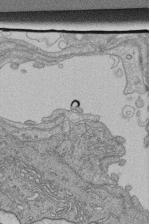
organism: Human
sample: Retinal organoid Rod and Cone cells